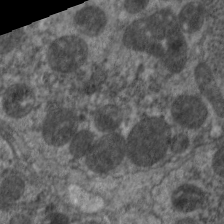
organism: C. elegans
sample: Pharynx